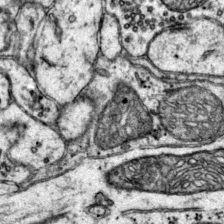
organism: Mouse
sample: Primary visual cortex